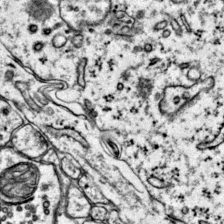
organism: Mouse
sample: Primary visual cortex